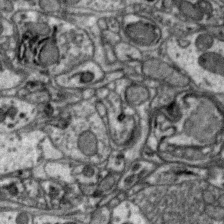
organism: Zebra finch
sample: Brain